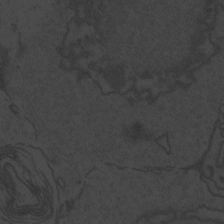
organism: Zebrafish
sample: Macrophage infected with Toxoplasma gondii